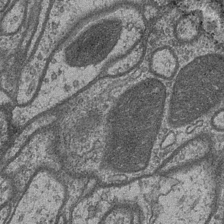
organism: Drosophila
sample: Optic medulla